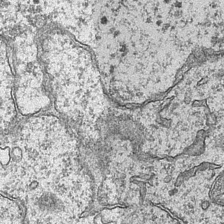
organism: Mouse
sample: CA1 Hippocampus